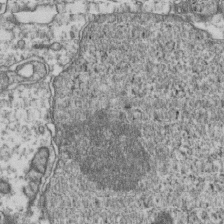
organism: Human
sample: Activated Jurkat CD4+ T cells